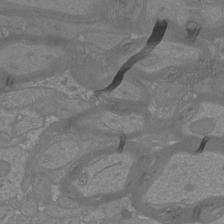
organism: Mouse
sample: Cortical neurons